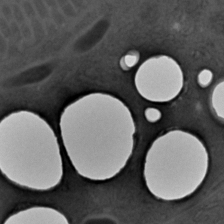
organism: C. elegans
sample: C. elegans embryo